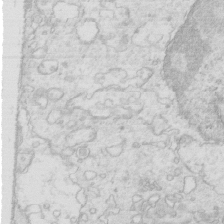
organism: Mouse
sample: Multiciliated cells